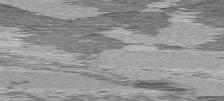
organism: C57BL Mouse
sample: Heart